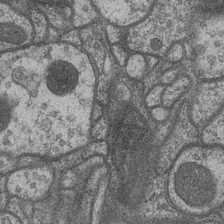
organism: Drosophila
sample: Optic medulla